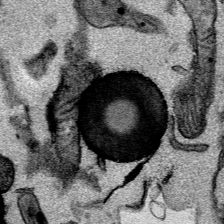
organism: Mouse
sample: Cancer cell death in ED-1 cells